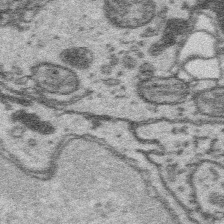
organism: Platynereis dumerilii